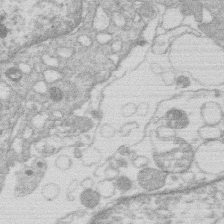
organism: Human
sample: Macrophage cells